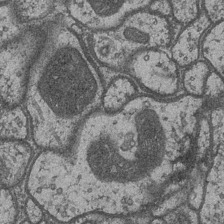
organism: Drosophila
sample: Optic medulla